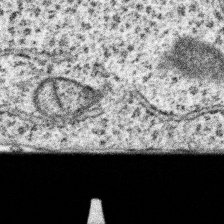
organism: Human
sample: HeLa cells